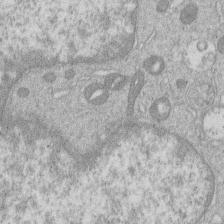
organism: Human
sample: Macrophage cells